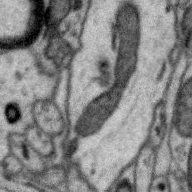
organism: Zebra finch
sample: Brain